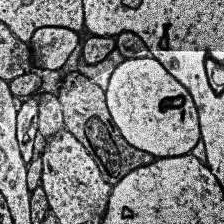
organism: Human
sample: Temporal Lobe